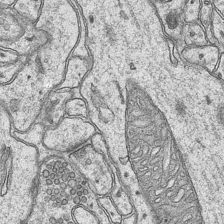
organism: Mouse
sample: CA1 Hippocampus